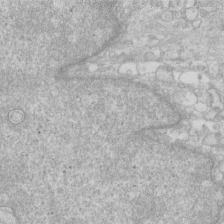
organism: Human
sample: Fibroblast cells